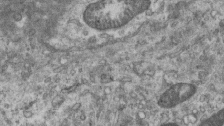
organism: Mouse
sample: Centriole in ependymal cells